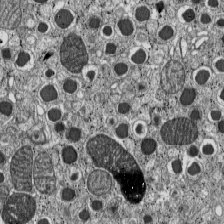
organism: C57BL Mouse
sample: Pancreatic islet